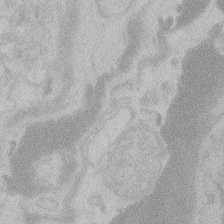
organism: Zebrafish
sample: Macrophage infected with Toxoplasma gondii